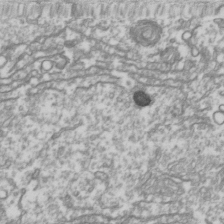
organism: Drosophila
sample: Cell division; meiosis; drosophila spermatocytes